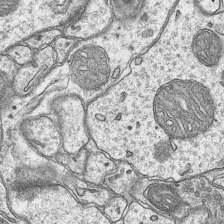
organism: Mouse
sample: CA1 Hippocampus